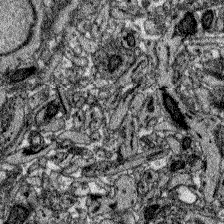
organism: Zebrafish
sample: Larval olfactory bulb